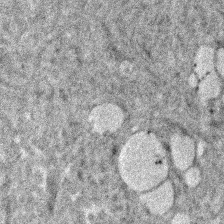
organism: Human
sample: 1205lu cells